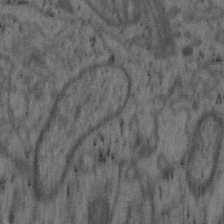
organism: Human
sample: HeLa cells